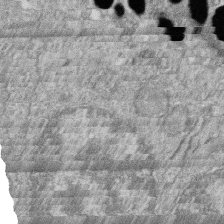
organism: Zebrafish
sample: Cilia; retinal pigment epithelium